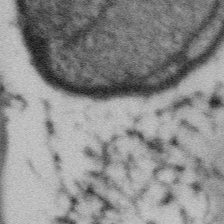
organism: Gemmata obscuriglobus